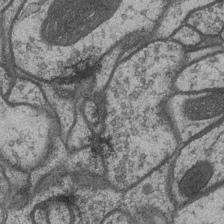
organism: Drosophila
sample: Optic medulla